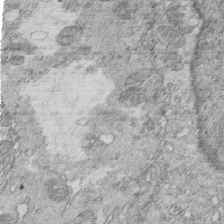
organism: Mouse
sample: Multiciliated cells